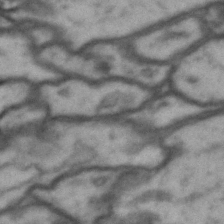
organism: Drosophila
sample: Brain